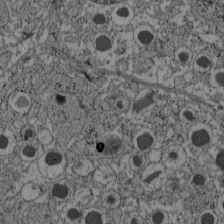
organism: C57BL Mouse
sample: Pancreatic islet